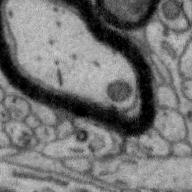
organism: Zebra finch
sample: Brain